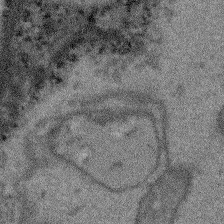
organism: Arabidopsis thaliana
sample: Root tip